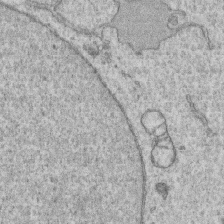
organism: Human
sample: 1205lu cells